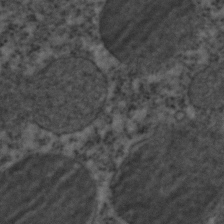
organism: C. elegans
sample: C. elegans embryo